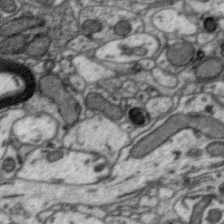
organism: Zebra finch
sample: Brain